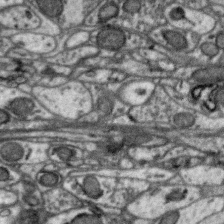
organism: Zebra finch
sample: Brain